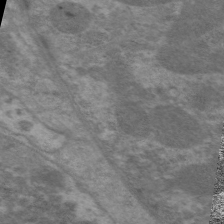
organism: C. elegans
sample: Pharynx